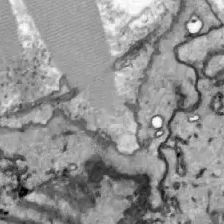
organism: Zebrafish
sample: Actinotrichia fibers